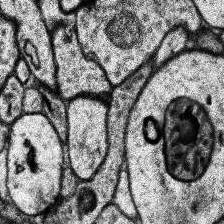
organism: Human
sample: Temporal Lobe